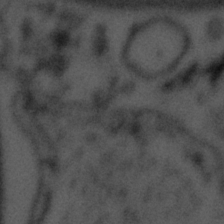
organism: Tuwongella immobilis